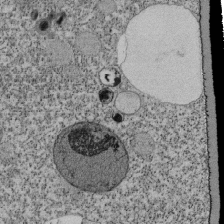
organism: Tetrahymena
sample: Cilia in tetrahymena